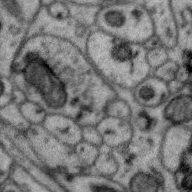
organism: Zebra finch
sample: Brain